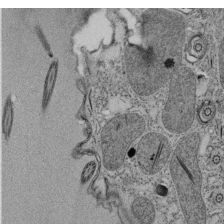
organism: Tetrahymena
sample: Cilia in tetrahymena